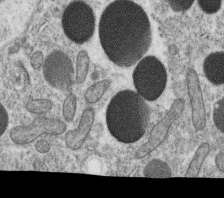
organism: C. elegans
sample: C. elegans oocyte; sperm cells